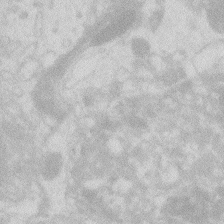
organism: Zebrafish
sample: Macrophage